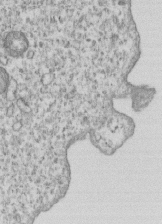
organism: Human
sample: MDA-MB-231 cells